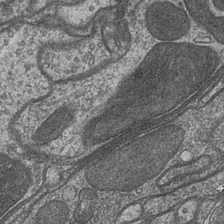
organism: Drosophila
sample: Optic medulla